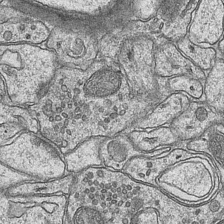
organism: Mouse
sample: CA1 Hippocampus